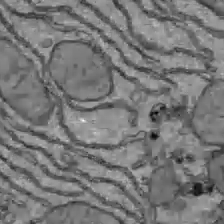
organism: C57BL Mouse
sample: Liver